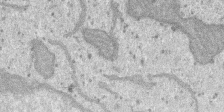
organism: Human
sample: Lung epithelial cells infected with SARS-CoV-2